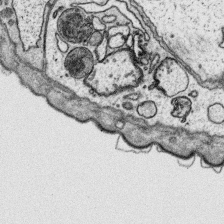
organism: Platynereis dumerilii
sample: Parapodia